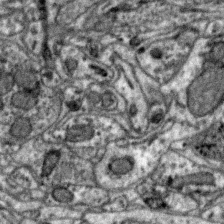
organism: Zebra finch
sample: Brain